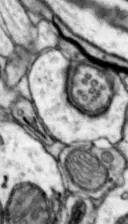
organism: Mouse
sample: Nucleus accumbens